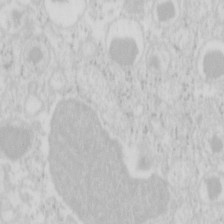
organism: Mouse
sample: Pancreas